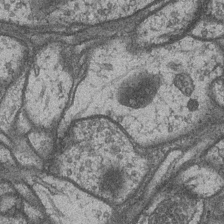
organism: Drosophila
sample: Optic medulla